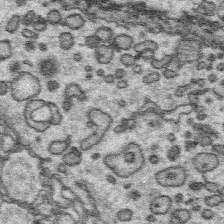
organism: Platynereis dumerilii